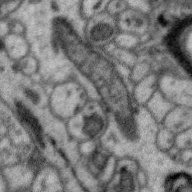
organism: Zebra finch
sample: Brain